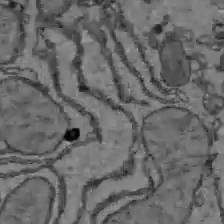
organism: C57BL Mouse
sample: Liver